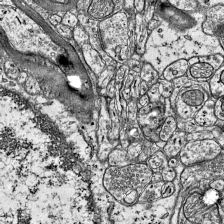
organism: Mouse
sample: Visual Cortex